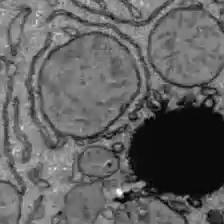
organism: C57BL Mouse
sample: Liver